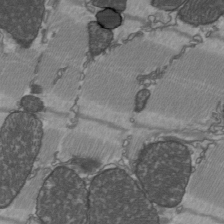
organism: C57BL Mouse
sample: Heart